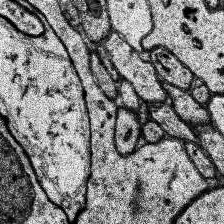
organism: Human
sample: Temporal Lobe